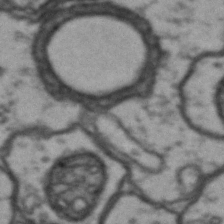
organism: Drosophila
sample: Brain